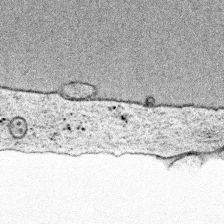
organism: Human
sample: HeLa cells